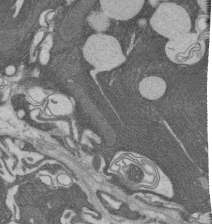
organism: Rat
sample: Salivary granule